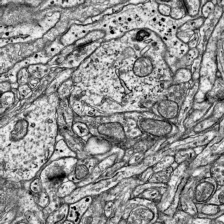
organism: Mouse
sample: Visual Cortex